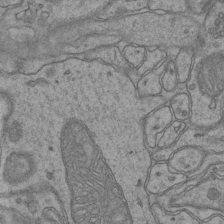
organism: Mouse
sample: CA1 Hippocampus